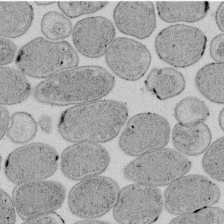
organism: E. coli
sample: Bacterial nucleoid